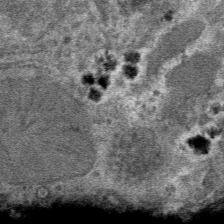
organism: Mouse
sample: Mouse hepatocytes